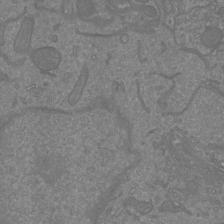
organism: Mouse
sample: Cortical neurons